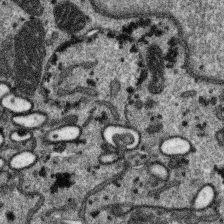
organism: Human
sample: Lung epithelial cells infected with SARS-CoV-2